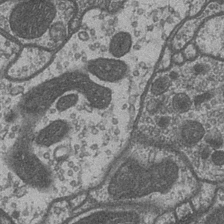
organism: Drosophila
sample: Optic medulla